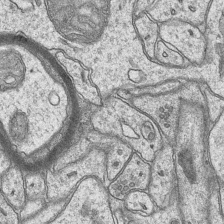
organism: Mouse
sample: CA1 Hippocampus